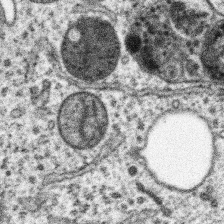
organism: Human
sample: HeLa cells